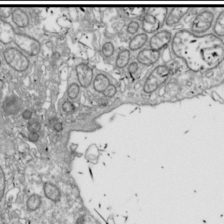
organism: Drosophila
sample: Cell division; meiosis; drosophila spermatocytes